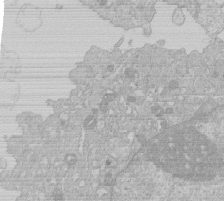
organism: Human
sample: Macrophage cells